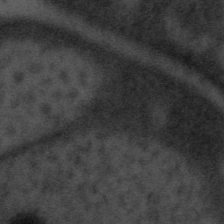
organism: Tuwongella immobilis